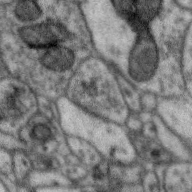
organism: Zebra finch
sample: Brain